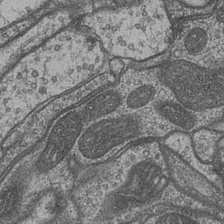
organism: Drosophila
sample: Optic medulla